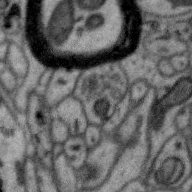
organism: Zebra finch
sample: Brain